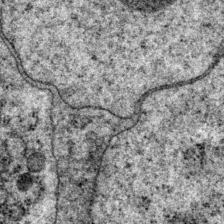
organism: P. pacificus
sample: Pharynx